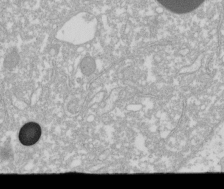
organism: Xenopus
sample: Cilia; centrioles in frog embryo cells